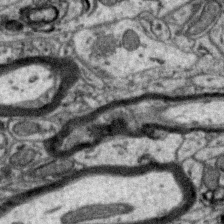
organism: Zebra finch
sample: Brain